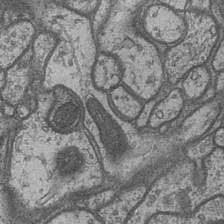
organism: Drosophila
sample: Optic medulla